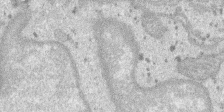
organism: Human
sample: Lung epithelial cells infected with SARS-CoV-2